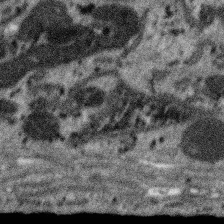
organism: Human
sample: Lung epithelial cells infected with SARS-CoV-2